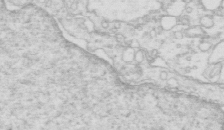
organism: Mouse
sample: Multiciliated cells